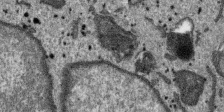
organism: Human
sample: Lung epithelial cells, uninfected (mock) control